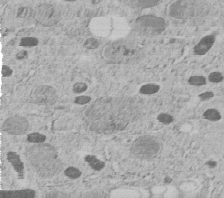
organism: C. elegans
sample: C. elegans embryo early stage